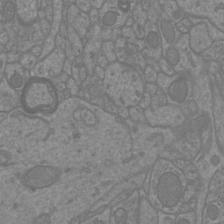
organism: Mouse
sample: Cortical neurons